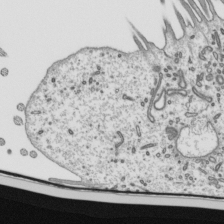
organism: Mouse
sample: Mouse epididymis efferent ductule cilia